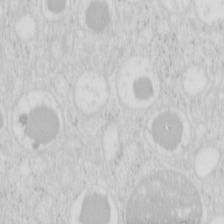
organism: Mouse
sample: Pancreas